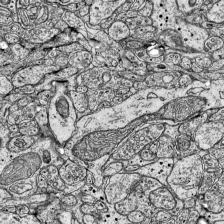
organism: Mouse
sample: Visual Cortex